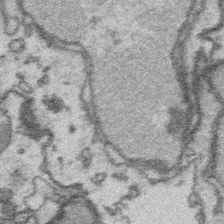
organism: Platynereis dumerilii